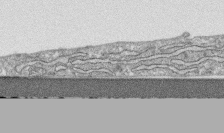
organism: Human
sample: CRL-1474